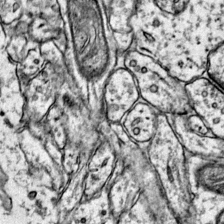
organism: Mouse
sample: Primary visual cortex